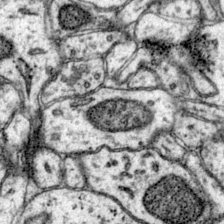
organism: Mouse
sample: Primary visual cortex